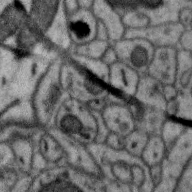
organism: Zebra finch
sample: Brain